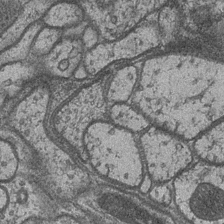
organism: Drosophila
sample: Optic medulla